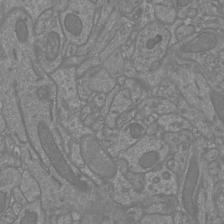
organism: Mouse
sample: Cortical neurons